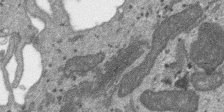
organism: Human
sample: Lung epithelial cells infected with SARS-CoV-2